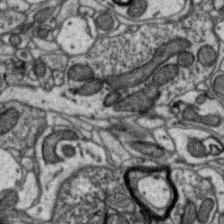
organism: Zebra finch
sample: Brain